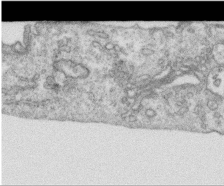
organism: Human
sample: Centriole in RPE cells